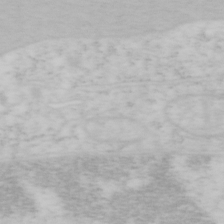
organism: Mouse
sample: OT-I killer T cells with ID8 ovarian cancer cells